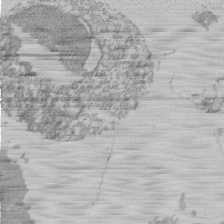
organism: Mouse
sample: Activated Pmel transgenic CD8+ T Cells